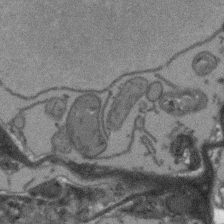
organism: Arabidopsis thaliana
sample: Root tip